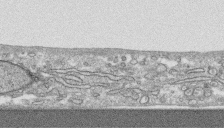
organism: Human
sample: CRL-1474